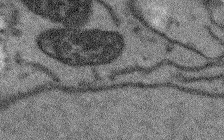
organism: Arabidopsis thaliana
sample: Root tip